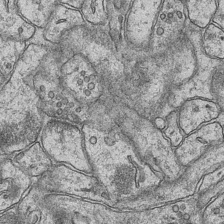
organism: Mouse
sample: CA1 Hippocampus